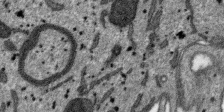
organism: Human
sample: Lung epithelial cells, uninfected (mock) control